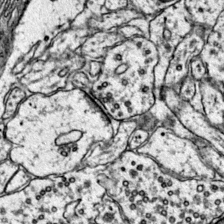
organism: Mouse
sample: Primary visual cortex